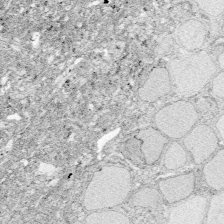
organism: Zebrafish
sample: Whole-Brain